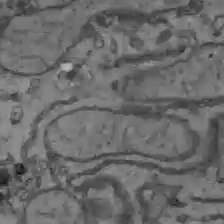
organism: C57BL Mouse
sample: Liver